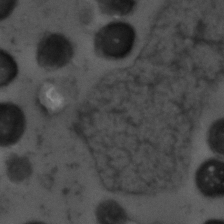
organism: Zebrafish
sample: Zebrafish embryo